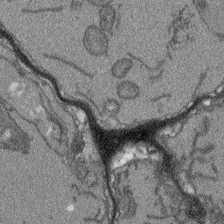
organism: Arabidopsis thaliana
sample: Root tip